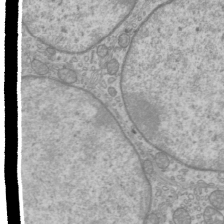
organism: Mouse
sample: Cilia; mouse epididymis